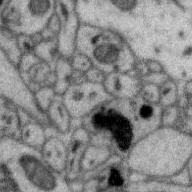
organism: Zebra finch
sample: Brain